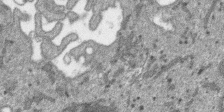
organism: Human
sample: Lung epithelial cells infected with SARS-CoV-2